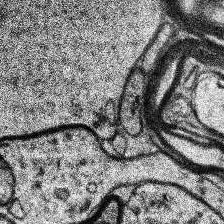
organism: Human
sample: Temporal Lobe